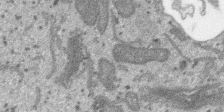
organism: Human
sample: Lung epithelial cells infected with SARS-CoV-2